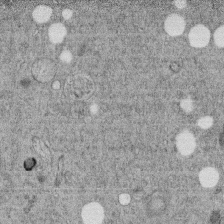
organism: C. elegans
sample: C. elegans embryo early stage